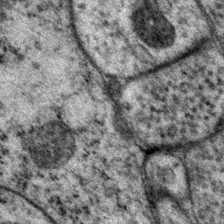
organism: P. pacificus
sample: Pharynx